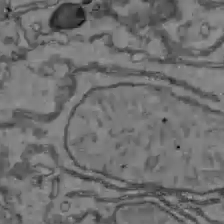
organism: C57BL Mouse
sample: Liver